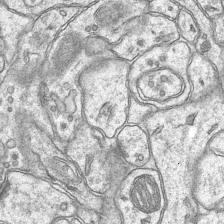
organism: Mouse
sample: CA1 Hippocampus